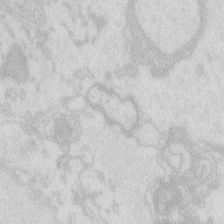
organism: Zebrafish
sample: Macrophage